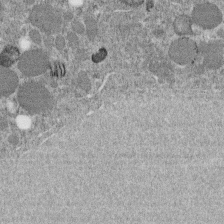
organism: C. elegans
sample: C. elegans embryo early stage